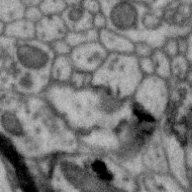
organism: Zebra finch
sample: Brain